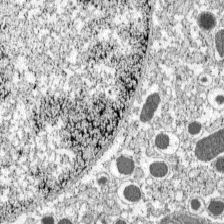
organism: C57BL Mouse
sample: Pancreatic islet